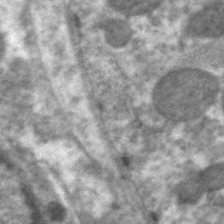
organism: C. elegans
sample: Pharynx